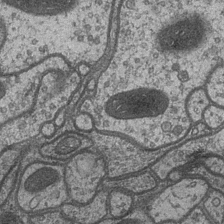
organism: Drosophila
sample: Optic medulla